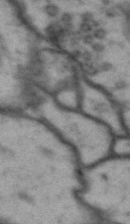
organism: Drosophila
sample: Brain